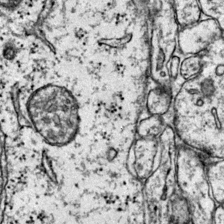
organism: Mouse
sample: Primary visual cortex